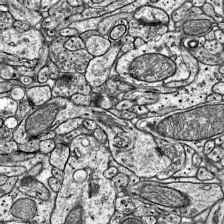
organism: Mouse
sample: Visual Cortex